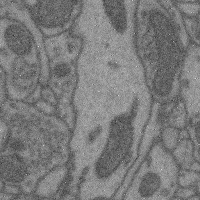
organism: Mouse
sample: Cerebral cortex